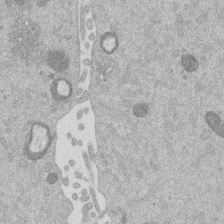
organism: Mouse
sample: Dividing mouse embryo 1 cell stage